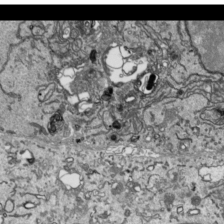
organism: Human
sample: Mitochondria in HCT116 cells